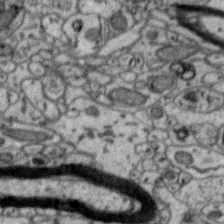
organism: Zebra finch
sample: Brain